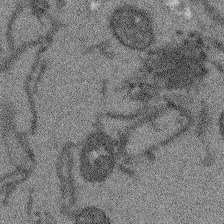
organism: Arabidopsis thaliana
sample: Root tip